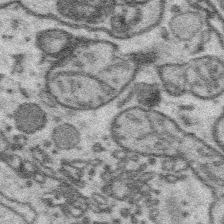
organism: Platynereis dumerilii